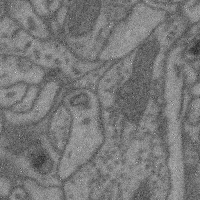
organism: Mouse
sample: Cerebral cortex